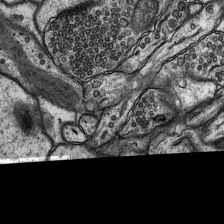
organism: Rat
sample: Hippocampus